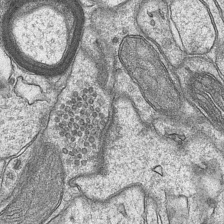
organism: Mouse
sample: CA1 Hippocampus